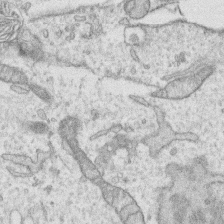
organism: Human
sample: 1205lu cells